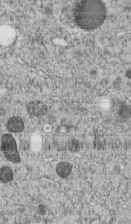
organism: C. elegans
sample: C. elegans embryo early stage